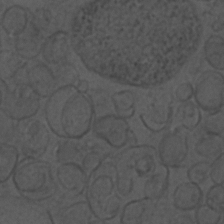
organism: C. elegans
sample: C. elegans embryo